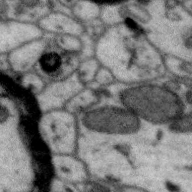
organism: Zebra finch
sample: Brain